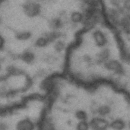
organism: Drosophila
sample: Brain